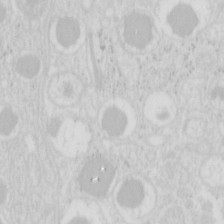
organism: Mouse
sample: Pancreas